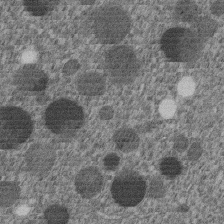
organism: C. elegans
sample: C. elegans embryo early stage